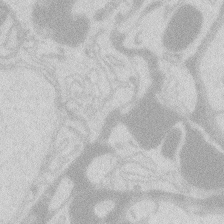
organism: Zebrafish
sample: Macrophage